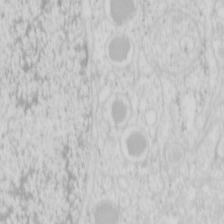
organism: Mouse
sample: Pancreas